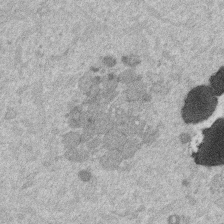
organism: Mouse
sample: Dividing mouse embryo 1 cell stage